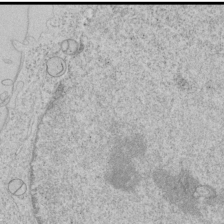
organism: Human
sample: Mitochondria in HCT116 cells